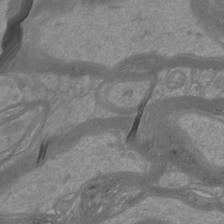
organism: Mouse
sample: Cortical neurons